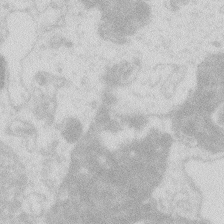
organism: Zebrafish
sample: Macrophage